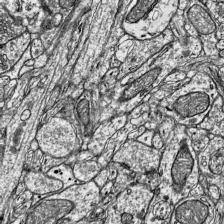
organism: Mouse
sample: Visual Cortex